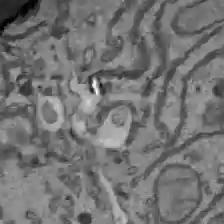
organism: C57BL Mouse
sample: Liver